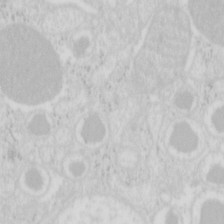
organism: Mouse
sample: Pancreas